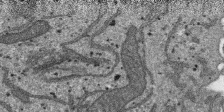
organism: Human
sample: Lung epithelial cells infected with SARS-CoV-2